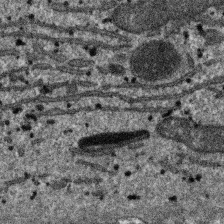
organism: Human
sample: Lung epithelial cells infected with SARS-CoV-2